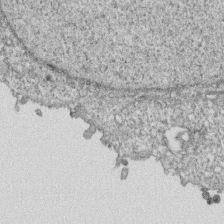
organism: Human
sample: HeLa cell HIV synapse